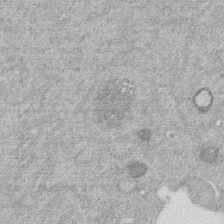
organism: Mouse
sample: Dividing mouse embryo 1 cell stage